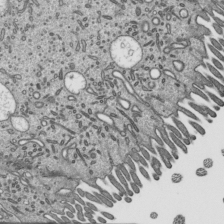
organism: Mouse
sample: Mouse epididymis efferent ductule cilia